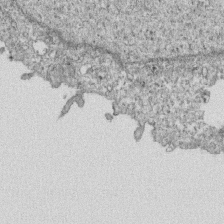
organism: Human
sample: HeLa cell HIV synapse